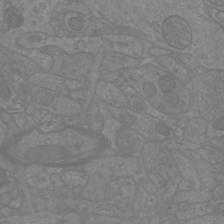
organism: Mouse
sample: Cortical neurons